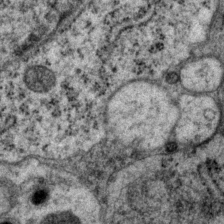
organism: P. pacificus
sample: Pharynx